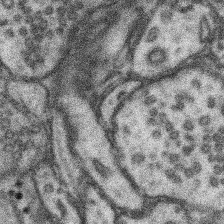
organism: Mouse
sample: Somatosensory cortex neuropil